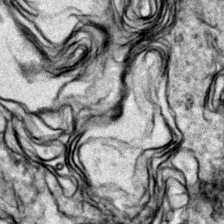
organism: Zebrafish